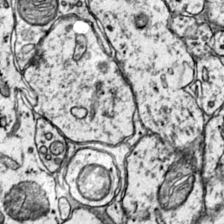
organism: Mouse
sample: Primary visual cortex